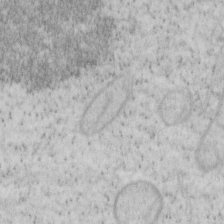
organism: Human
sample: HeLa cells